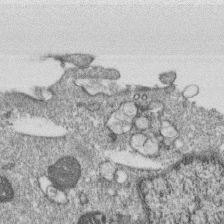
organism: African green monkey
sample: Vero E6 cells infected with SARS-CoV-2